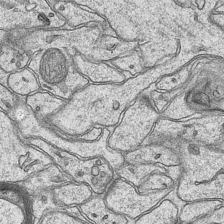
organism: Mouse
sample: CA1 Hippocampus